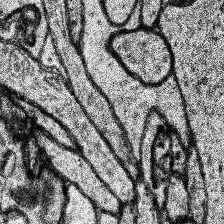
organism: Human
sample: Temporal Lobe